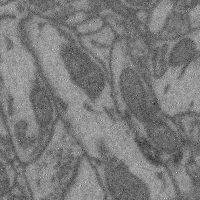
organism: Mouse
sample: Cerebral cortex